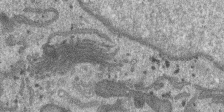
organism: Human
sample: Lung epithelial cells infected with SARS-CoV-2